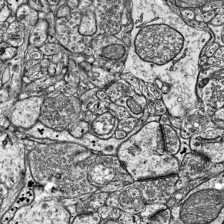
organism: Mouse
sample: Visual Cortex